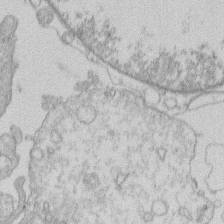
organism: Human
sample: Macrophage cells